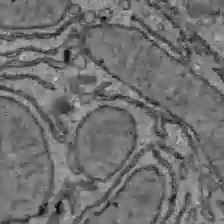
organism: C57BL Mouse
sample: Liver